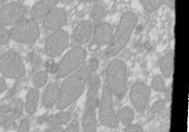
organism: Xenopus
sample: Cilia; centrioles in frog embryo cells